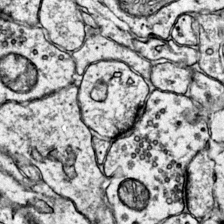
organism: Mouse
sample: Primary visual cortex